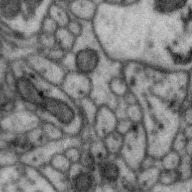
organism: Zebra finch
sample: Brain